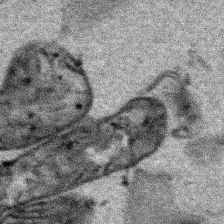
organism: Human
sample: Mitochondria in HCT116 cells